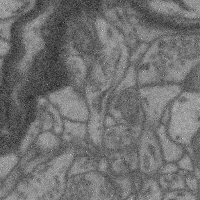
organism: Mouse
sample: Cerebral cortex